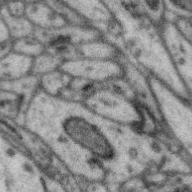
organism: Zebra finch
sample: Brain